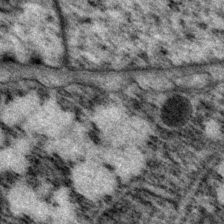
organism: P. pacificus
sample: Pharynx